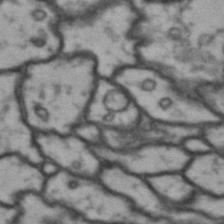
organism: Drosophila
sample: Brain